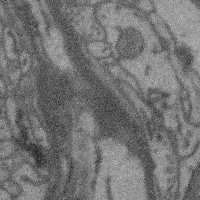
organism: Mouse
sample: Cerebral cortex